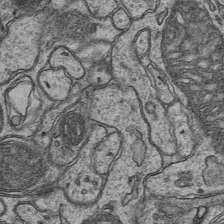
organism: Mouse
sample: CA1 Hippocampus